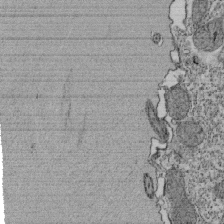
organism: Tetrahymena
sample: Cilia in tetrahymena